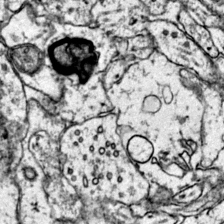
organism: Mouse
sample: Primary visual cortex